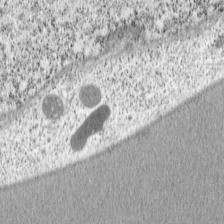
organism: African green monkey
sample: COS-7 cells